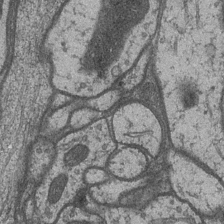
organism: Drosophila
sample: Optic medulla